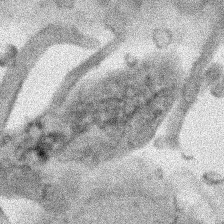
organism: Human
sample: Mitochondria in HCT116 cells